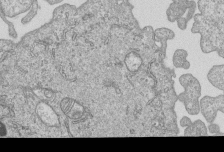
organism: Human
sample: MDA-MB-231 cells